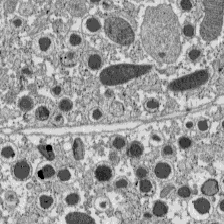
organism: C57BL Mouse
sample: Pancreatic islet